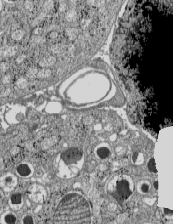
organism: C57BL Mouse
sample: Pancreatic islet